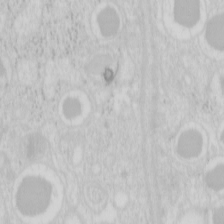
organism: Mouse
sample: Pancreas